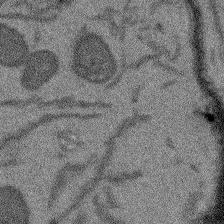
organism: Arabidopsis thaliana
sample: Root tip